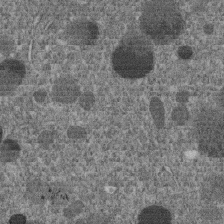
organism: C. elegans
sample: C. elegans embryo early stage